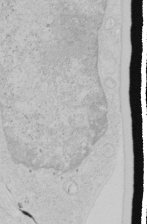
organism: Human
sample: Mitochondria in HCT116 cells